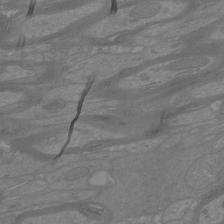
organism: Mouse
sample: Cortical neurons